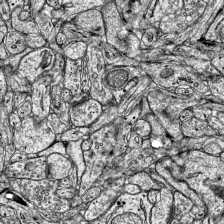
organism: Mouse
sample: Visual Cortex